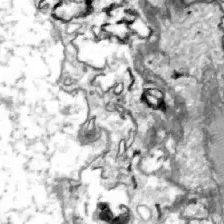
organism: Zebrafish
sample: Actinotrichia fibers